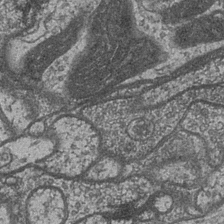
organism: Drosophila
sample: Optic medulla